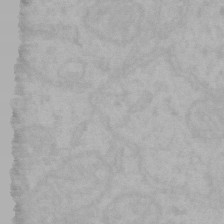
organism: Mouse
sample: Choroid plexus